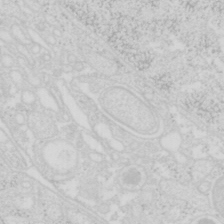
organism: Mouse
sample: Pancreas